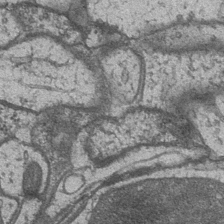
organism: Drosophila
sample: Optic medulla